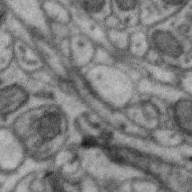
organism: Zebra finch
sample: Brain